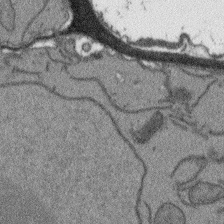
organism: Arabidopsis thaliana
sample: Root tip